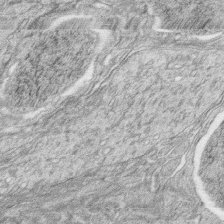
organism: Zebrafish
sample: synaptic ribbons in rod cells and cone cells